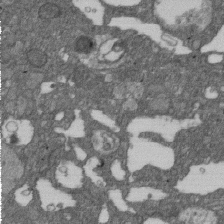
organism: Drosophila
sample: Nephrocyte